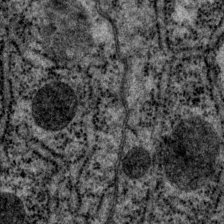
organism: P. pacificus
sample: Pharynx